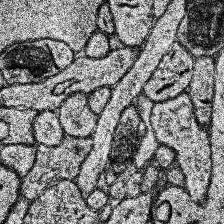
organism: Human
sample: Temporal Lobe